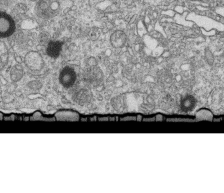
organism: Human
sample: HeLa cell HIV synapse